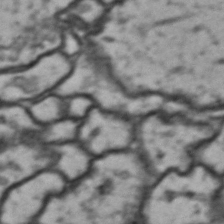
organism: Drosophila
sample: Brain